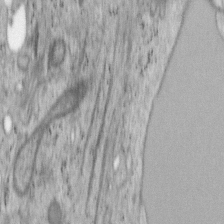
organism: Human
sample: HeLa cells